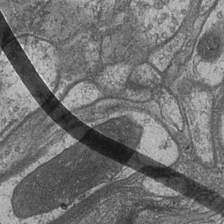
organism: Drosophila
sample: Optic medulla